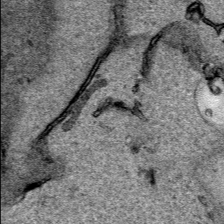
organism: Human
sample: Mitochondria in HCT116 cells